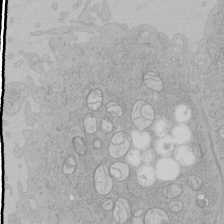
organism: Human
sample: Mitochondria in HCT116 cells